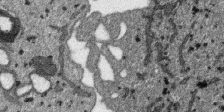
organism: Human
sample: Lung epithelial cells infected with SARS-CoV-2